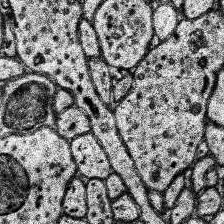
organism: Human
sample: Temporal Lobe